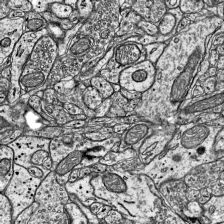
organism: Mouse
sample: Visual Cortex